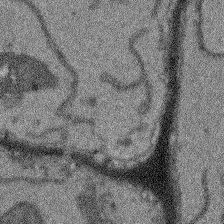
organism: Arabidopsis thaliana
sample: Root tip